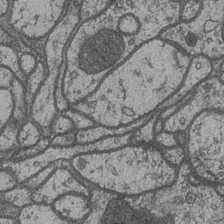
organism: Drosophila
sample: Optic medulla